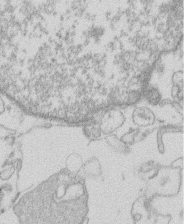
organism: Human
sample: Macrophage cells